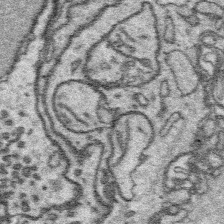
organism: Platynereis dumerilii